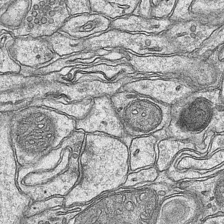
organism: Mouse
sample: CA1 Hippocampus